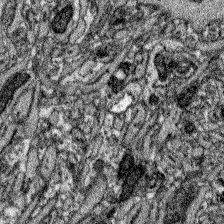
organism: Zebrafish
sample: Larval olfactory bulb